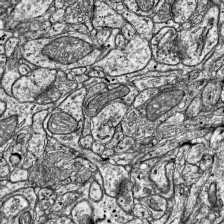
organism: Mouse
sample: Visual Cortex